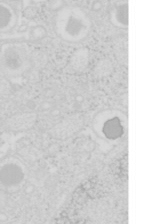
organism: Mouse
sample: Pancreas